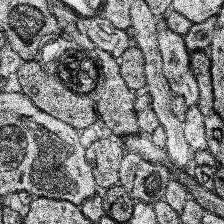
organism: Human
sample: Temporal Lobe